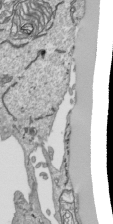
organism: Human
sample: Mitochondria in HCT116 cells